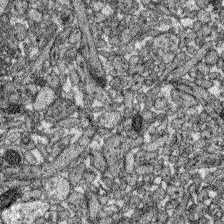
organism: Zebrafish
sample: Larval olfactory bulb